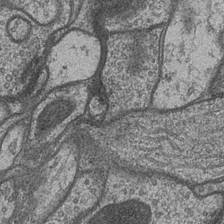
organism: Drosophila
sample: Optic medulla